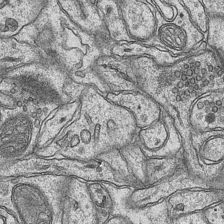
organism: Mouse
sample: CA1 Hippocampus